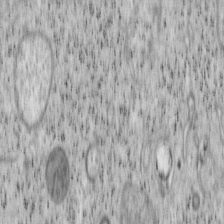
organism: Human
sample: HeLa cells